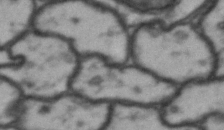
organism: Drosophila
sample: Brain